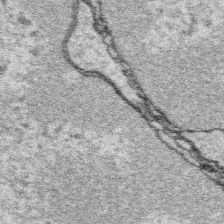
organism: Platynereis dumerilii